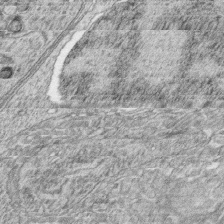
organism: Zebrafish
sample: synaptic ribbons in rod cells and cone cells